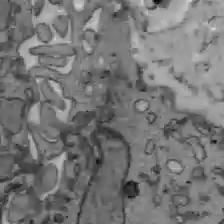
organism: C57BL Mouse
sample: Liver